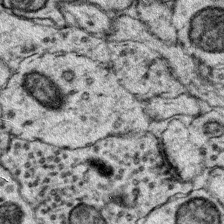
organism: Mouse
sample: Primary visual cortex